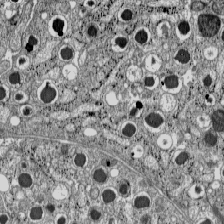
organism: C57BL Mouse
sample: Pancreatic islet